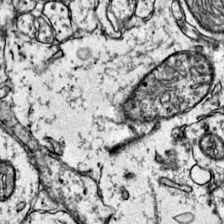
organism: Mouse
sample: Primary visual cortex